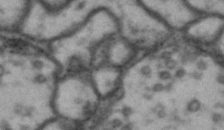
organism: Drosophila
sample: Brain